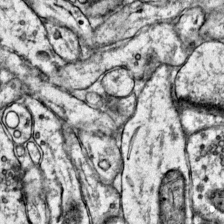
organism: Mouse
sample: Primary visual cortex